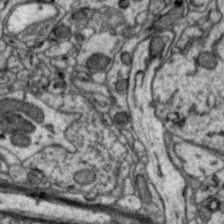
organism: Zebra finch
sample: Brain